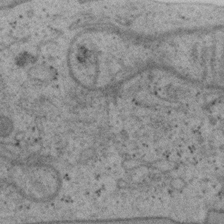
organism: Human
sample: HeLa cells